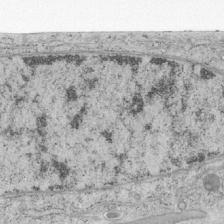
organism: Human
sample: HeLa cells